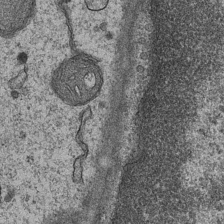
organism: Mouse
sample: CA1 Hippocampus